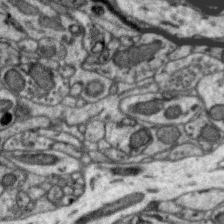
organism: Zebra finch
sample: Brain